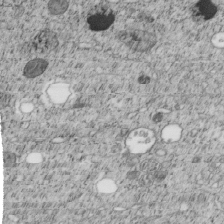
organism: C. elegans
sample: C. elegans embryo early stage